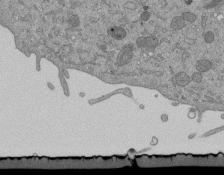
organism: Mouse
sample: ED-1 cell nuclei; centrioles